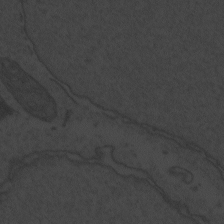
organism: Zebrafish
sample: Macrophage infected with Toxoplasma gondii